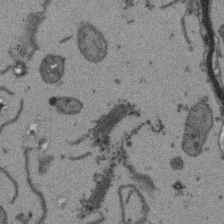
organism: Arabidopsis thaliana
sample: Root tip